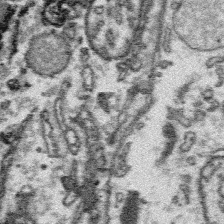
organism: Platynereis dumerilii